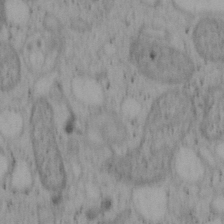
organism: Mouse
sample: OT-I killer T cells with ID8 ovarian cancer cells